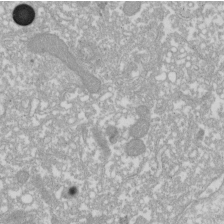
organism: Xenopus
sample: Cilia; centrioles in frog embryo cells